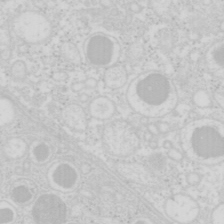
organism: Mouse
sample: Pancreas